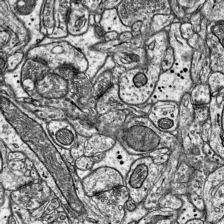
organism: Mouse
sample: Visual Cortex